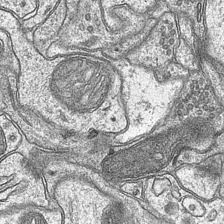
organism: Mouse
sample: CA1 Hippocampus